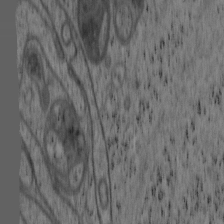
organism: Human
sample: HeLa cells